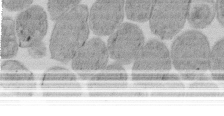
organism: E. coli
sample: Bacterial nucleoid